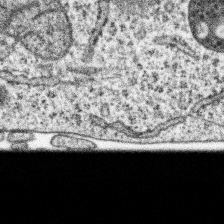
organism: Human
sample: HeLa cells